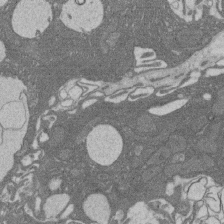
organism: Rat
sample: Salivary granule